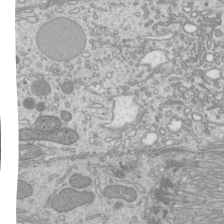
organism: Mouse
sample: Cilia; mouse epididymis